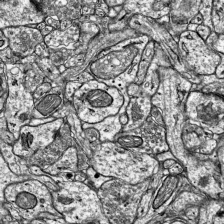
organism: Mouse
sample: Visual Cortex